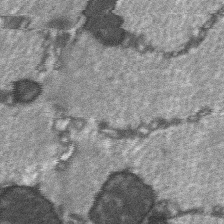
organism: C57BL Mouse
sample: Soleus